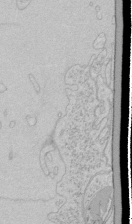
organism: Human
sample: Mitochondria in HCT116 cells